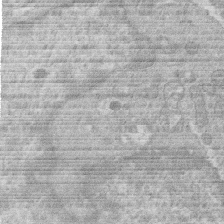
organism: Human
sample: Macrophage cells